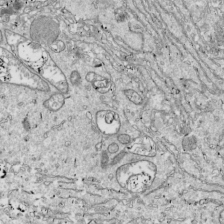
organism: Drosophila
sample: Cell division; meiosis; drosophila spermatocytes